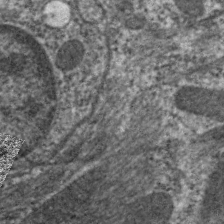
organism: C. elegans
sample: Pharynx